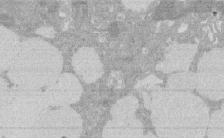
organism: Rat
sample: Salivary granule